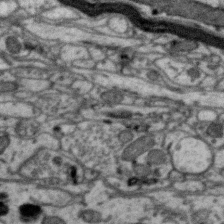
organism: Zebra finch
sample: Brain